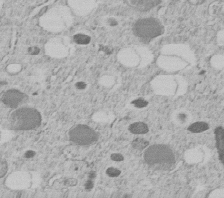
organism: C. elegans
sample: C. elegans embryo early stage